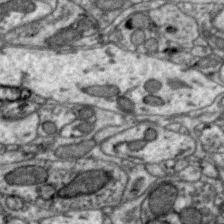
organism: Zebra finch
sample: Brain